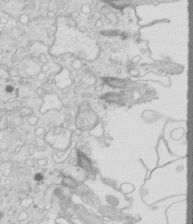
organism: Mouse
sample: Multiciliated cells